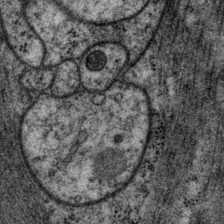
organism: P. pacificus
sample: Pharynx